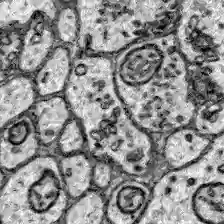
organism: Zebrafish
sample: Brain